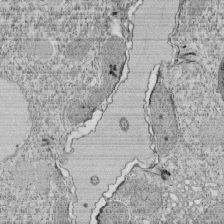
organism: Tetrahymena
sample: Cilia in tetrahymena